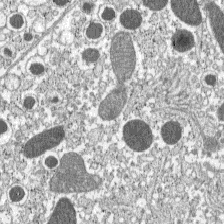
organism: C57BL Mouse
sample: Pancreatic islet